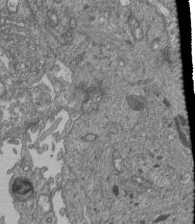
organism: Human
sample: Retinal organoid Rod and Cone cells